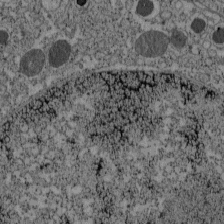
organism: C57BL Mouse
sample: Pancreatic islet